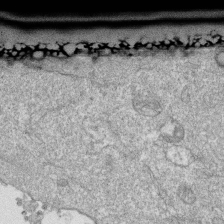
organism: Human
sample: HeLa cell HIV synapse